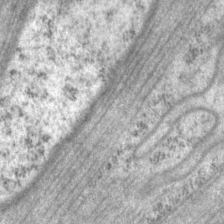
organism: P. pacificus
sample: Pharynx